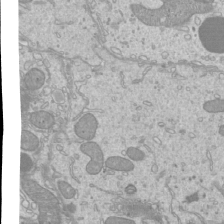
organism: Mouse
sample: Cilia; mouse epididymis